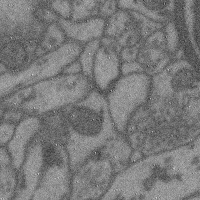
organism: Mouse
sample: Cerebral cortex